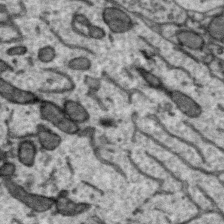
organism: Zebra finch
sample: Brain